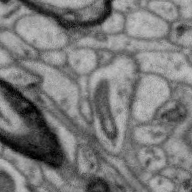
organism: Zebra finch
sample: Brain